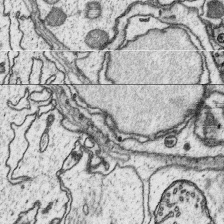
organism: Platynereis dumerilii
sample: Parapodia